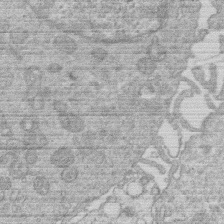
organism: Human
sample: Macrophage cells